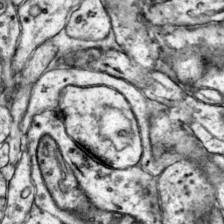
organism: Mouse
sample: Primary visual cortex